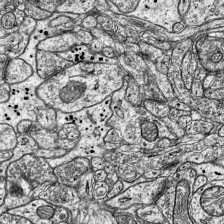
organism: Mouse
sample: Visual Cortex